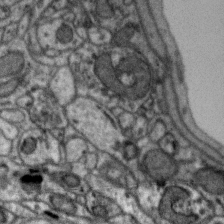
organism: Zebra finch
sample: Brain